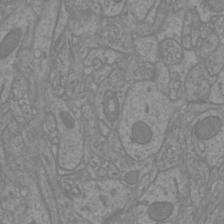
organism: Mouse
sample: Cortical neurons